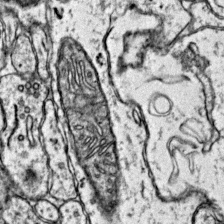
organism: Mouse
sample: Primary visual cortex